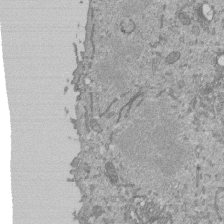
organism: Mouse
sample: ED-1 cell nuclei; centrioles